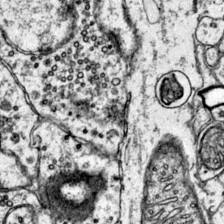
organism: Mouse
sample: Primary visual cortex